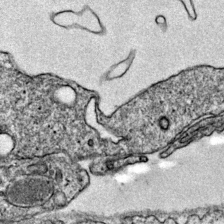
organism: Mouse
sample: Primary visual cortex